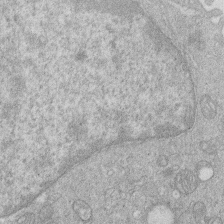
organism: Human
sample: Macrophage cells